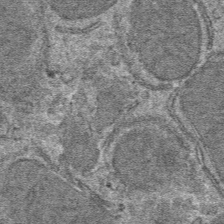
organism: Mouse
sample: Mouse hepatocytes